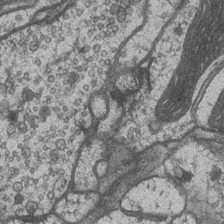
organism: Drosophila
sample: Optic medulla